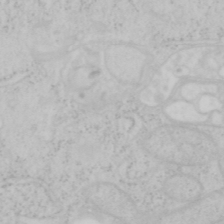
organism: Mouse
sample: OT-I killer T cells with ID8 ovarian cancer cells